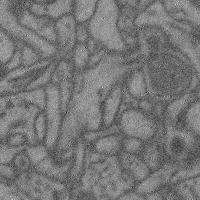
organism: Mouse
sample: Cerebral cortex